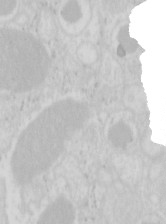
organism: Mouse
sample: Pancreas